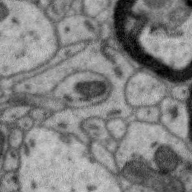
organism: Zebra finch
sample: Brain